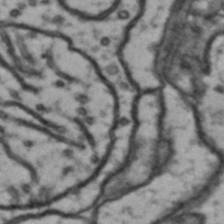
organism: Drosophila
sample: Brain